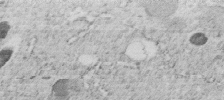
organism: C. elegans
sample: C. elegans embryo early stage